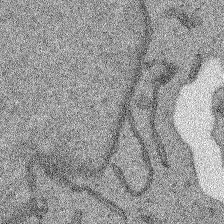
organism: Human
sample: HeLa cells